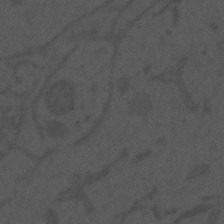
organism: Mouse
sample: Suprachiasmatic nucleus